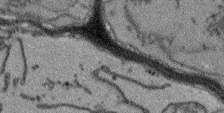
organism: Arabidopsis thaliana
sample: Root tip